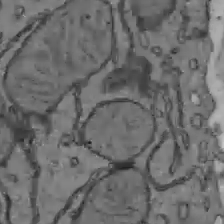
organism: C57BL Mouse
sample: Liver